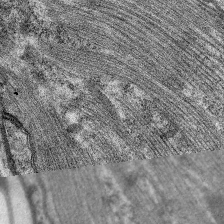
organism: C. elegans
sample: Pharynx